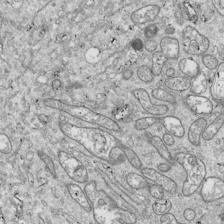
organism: Drosophila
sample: Cell division; meiosis; drosophila spermatocytes